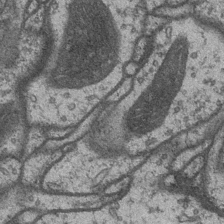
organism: Drosophila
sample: Optic medulla